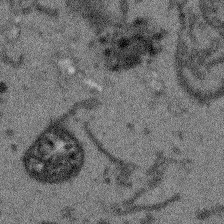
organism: Arabidopsis thaliana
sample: Root tip